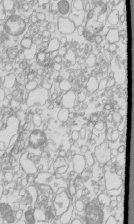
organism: Mouse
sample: Macrophages